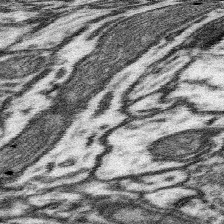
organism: Mouse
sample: Somatosensory cortex neuropil